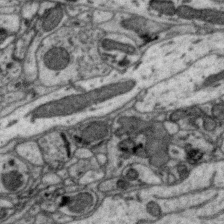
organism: Zebra finch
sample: Brain